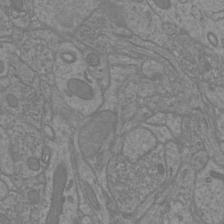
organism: Mouse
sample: Cortical neurons